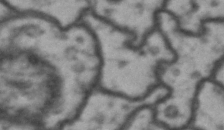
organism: Drosophila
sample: Brain